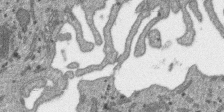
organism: Human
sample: Lung epithelial cells infected with SARS-CoV-2